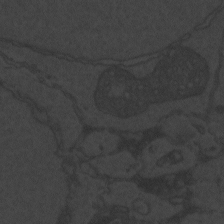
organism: Zebrafish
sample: Macrophage infected with Toxoplasma gondii